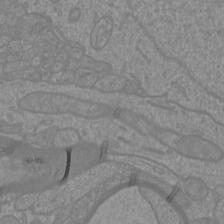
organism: Mouse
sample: Cortical neurons